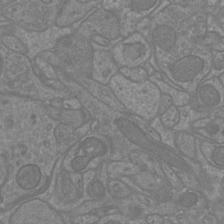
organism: Mouse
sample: Cortical neurons